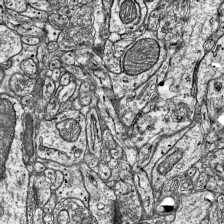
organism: Mouse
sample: Visual Cortex